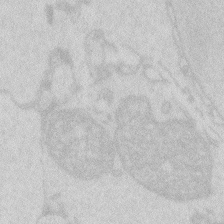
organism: Zebrafish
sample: Macrophage